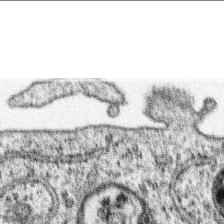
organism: Human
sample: HeLa cells